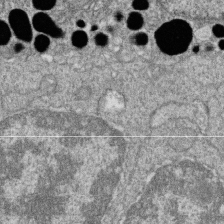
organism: Zebrafish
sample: Cilia; retinal pigment epithelium